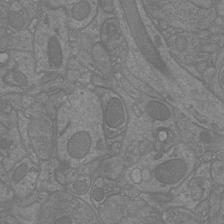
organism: Mouse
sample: Cortical neurons